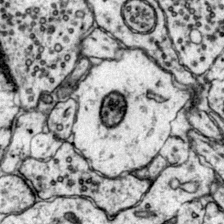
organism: Mouse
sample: Primary visual cortex